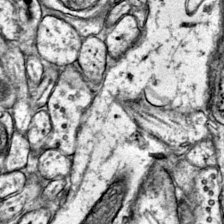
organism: Mouse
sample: Primary visual cortex